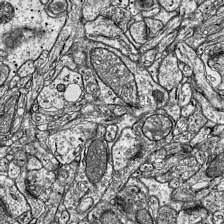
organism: Mouse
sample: Visual Cortex